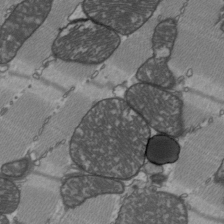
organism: C57BL Mouse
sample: Heart